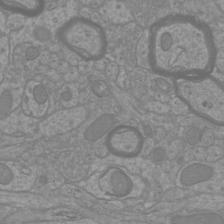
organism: Mouse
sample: Cortical neurons